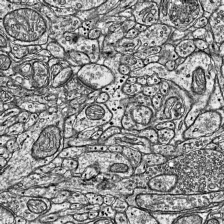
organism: Mouse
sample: Visual Cortex